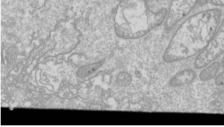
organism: Drosophila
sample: Cell division; meiosis; drosophila spermatocytes